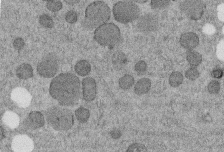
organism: C. elegans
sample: C. elegans embryo early stage